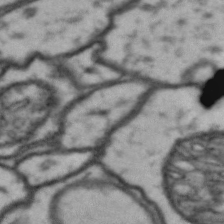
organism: Drosophila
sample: Brain